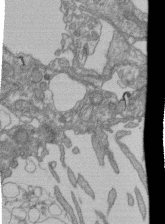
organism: Human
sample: Retinal organoid Rod and Cone cells